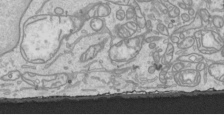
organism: Human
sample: Mitochondria in HCT116 cells